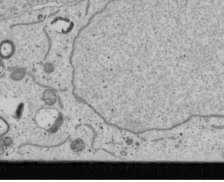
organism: Human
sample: Mitochondria in U2OS cells